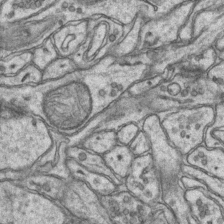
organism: Mouse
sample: CA1 Hippocampus